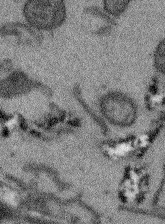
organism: Arabidopsis thaliana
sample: Root tip